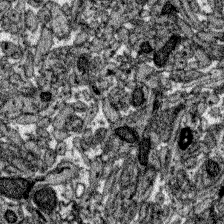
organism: Zebrafish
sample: Larval olfactory bulb